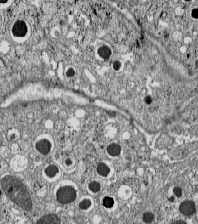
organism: C57BL Mouse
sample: Pancreatic islet